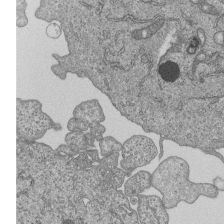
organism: Human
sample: MDA-MB-231 cells